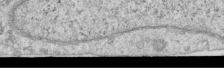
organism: Human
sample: Centriole in RPE cells